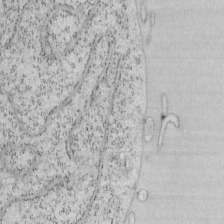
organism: Mouse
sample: OT-I killer T cells with ID8 ovarian cancer cells